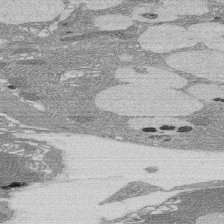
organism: Rat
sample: Salivary granule